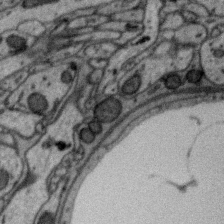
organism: Zebra finch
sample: Brain